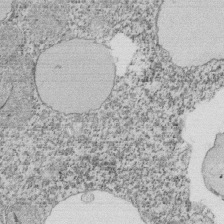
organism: Tetrahymena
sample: Cilia in tetrahymena